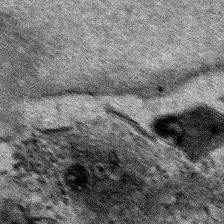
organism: Human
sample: Mitochondria in HCT116 cells